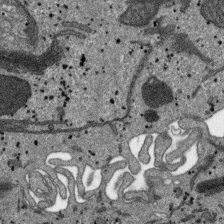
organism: Human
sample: Lung epithelial cells, uninfected (mock) control